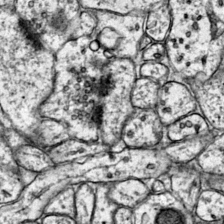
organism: Mouse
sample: Primary visual cortex